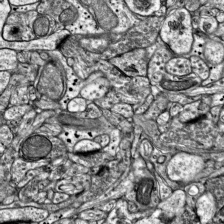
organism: Mouse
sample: Visual Cortex